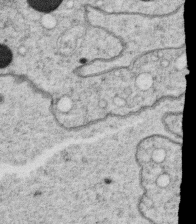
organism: C. elegans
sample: C. elegans oocyte; sperm cells